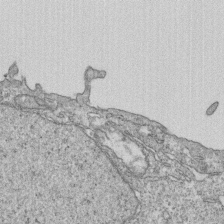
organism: Human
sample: HeLa cell HIV synapse